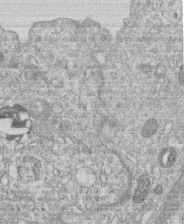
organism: Human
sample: Macrophage cells